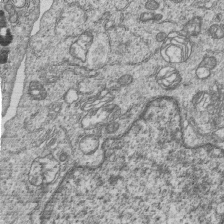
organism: Human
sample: MDA-MB-231 cells